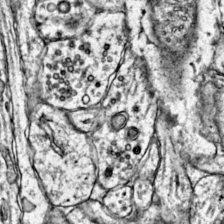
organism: Mouse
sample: Primary visual cortex